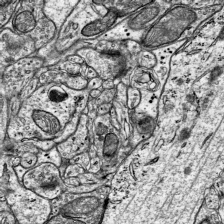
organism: Mouse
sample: Visual Cortex